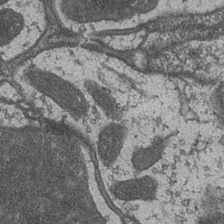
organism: Drosophila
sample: Optic medulla